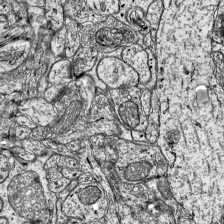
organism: Mouse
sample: Visual Cortex